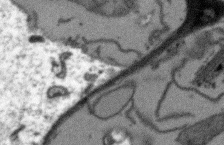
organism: Arabidopsis thaliana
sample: Root tip